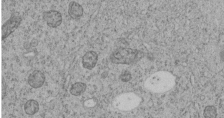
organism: C. elegans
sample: C. elegans embryo early stage